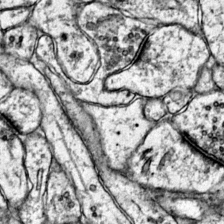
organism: Mouse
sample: Primary visual cortex